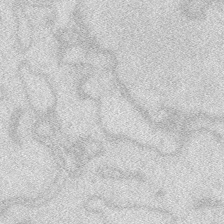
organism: Zebrafish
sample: Macrophage